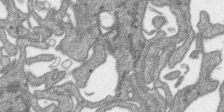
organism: Human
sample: Lung epithelial cells infected with SARS-CoV-2